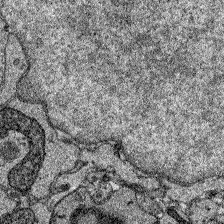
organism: Zebrafish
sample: Larval olfactory bulb